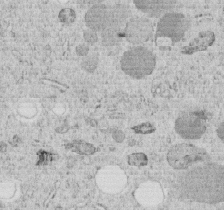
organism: C. elegans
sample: C. elegans embryo early stage